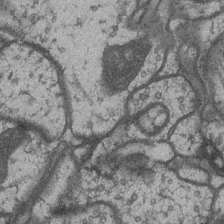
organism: Drosophila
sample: Optic medulla